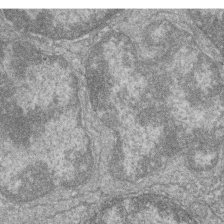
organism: Zebrafish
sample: Cilia; retinal pigment epithelium